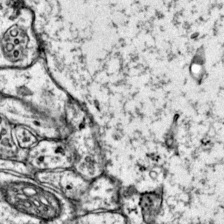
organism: Mouse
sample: Primary visual cortex